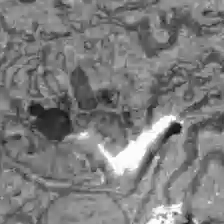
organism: C57BL Mouse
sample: Liver